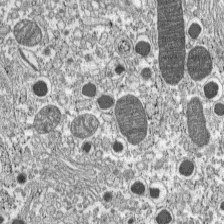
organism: C57BL Mouse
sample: Pancreatic islet